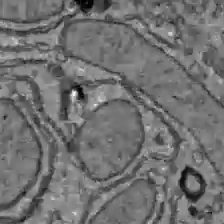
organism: C57BL Mouse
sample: Liver